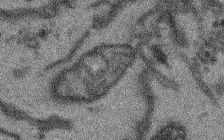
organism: Arabidopsis thaliana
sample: Root tip